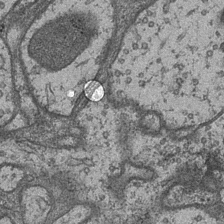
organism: Drosophila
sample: Optic medulla